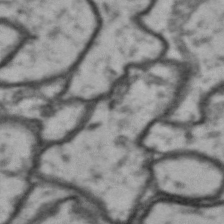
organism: Drosophila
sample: Brain